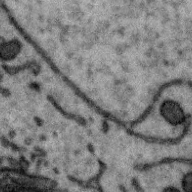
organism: Zebra finch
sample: Brain